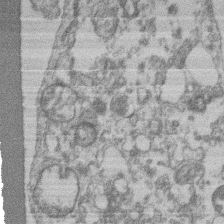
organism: Mouse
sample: T cell stromal cell synapse